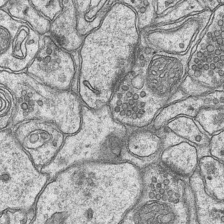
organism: Mouse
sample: CA1 Hippocampus